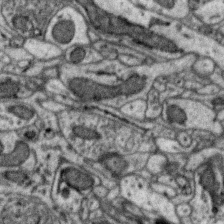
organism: Zebra finch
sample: Brain